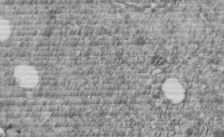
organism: C. elegans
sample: C. elegans embryo early stage